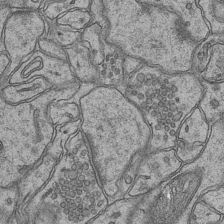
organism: Mouse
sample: CA1 Hippocampus